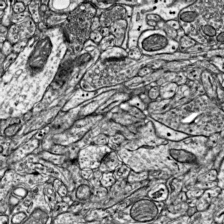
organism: Mouse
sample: Visual Cortex